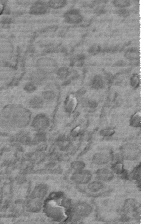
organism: C. elegans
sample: C. elegans embryo early stage